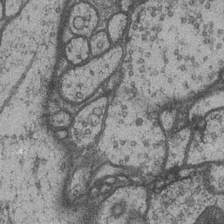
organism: Drosophila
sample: Optic medulla